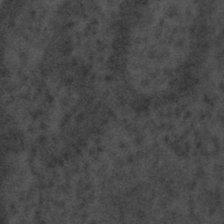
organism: Tuwongella immobilis